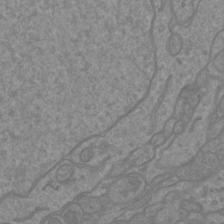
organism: Mouse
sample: Cortical neurons